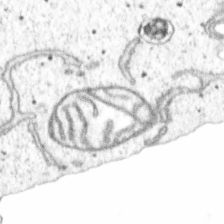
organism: Human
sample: HeLa cells